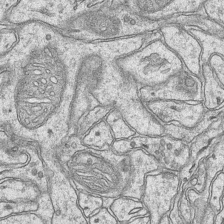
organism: Mouse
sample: CA1 Hippocampus